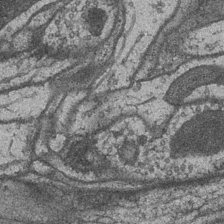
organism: Drosophila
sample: Optic medulla